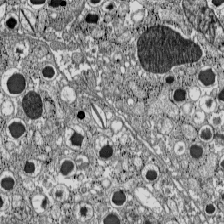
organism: C57BL Mouse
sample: Pancreatic islet